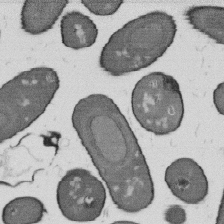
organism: B. subtilis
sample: Bacterial spore